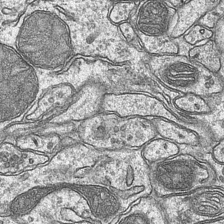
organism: Mouse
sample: CA1 Hippocampus